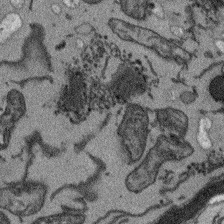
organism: Arabidopsis thaliana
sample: Root tip